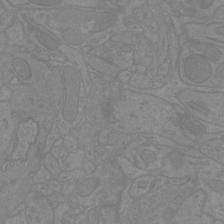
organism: Mouse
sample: Cortical neurons